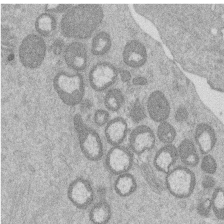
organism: Mouse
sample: Dividing mouse embryo 1 cell stage